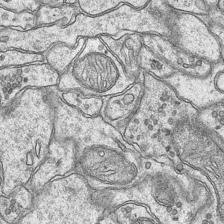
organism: Mouse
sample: CA1 Hippocampus